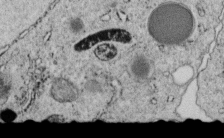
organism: C. elegans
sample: C. elegans embryo early stage